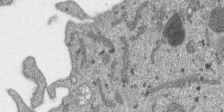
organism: Human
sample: Lung epithelial cells infected with SARS-CoV-2